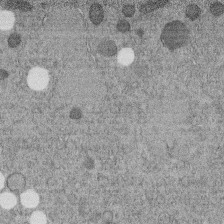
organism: C. elegans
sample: C. elegans embryo early stage